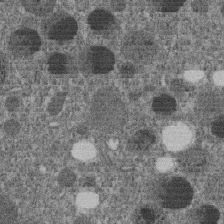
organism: C. elegans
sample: C. elegans embryo early stage